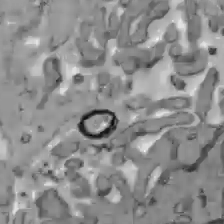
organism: C57BL Mouse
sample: Liver